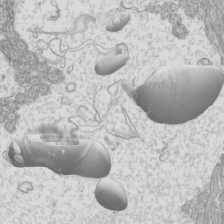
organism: Mouse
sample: Cilia; mouse epididymis